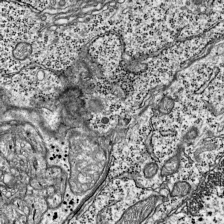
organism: Mouse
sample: Visual Cortex